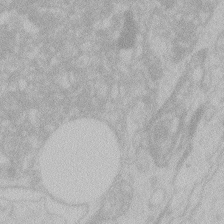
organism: Zebrafish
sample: Macrophage infected with Toxoplasma gondii